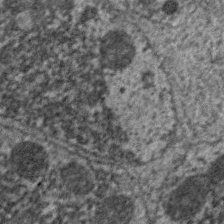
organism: C. elegans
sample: Pharynx